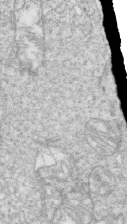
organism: Human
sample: HeLa cell HIV synapse